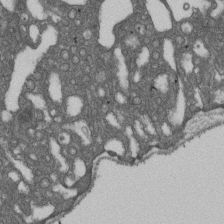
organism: Drosophila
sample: Nephrocyte